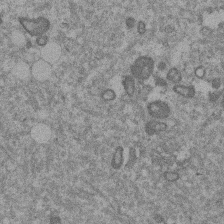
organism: Mouse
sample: Dividing mouse embryo 1 cell stage